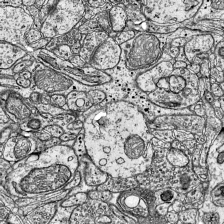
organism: Mouse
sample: Visual Cortex